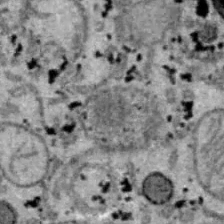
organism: Mouse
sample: Liver from an obese (ob/ob) mouse